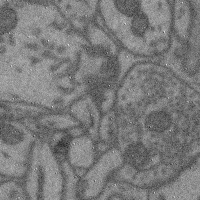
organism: Mouse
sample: Cerebral cortex